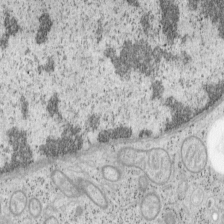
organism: Mouse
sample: OT-I killer T cells with ID8 ovarian cancer cells